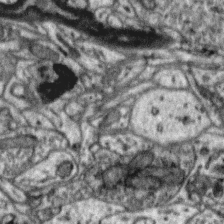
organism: Zebra finch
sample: Brain